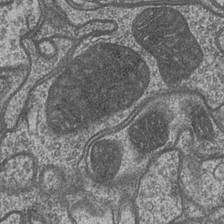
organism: Drosophila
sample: Optic medulla